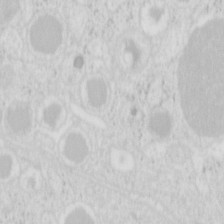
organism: Mouse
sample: Pancreas